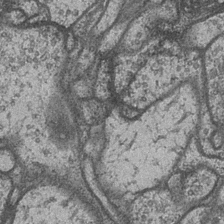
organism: Drosophila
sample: Optic medulla